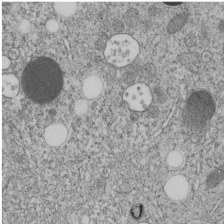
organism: C. elegans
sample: C. elegans embryo early stage